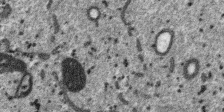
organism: Human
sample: Lung epithelial cells infected with SARS-CoV-2